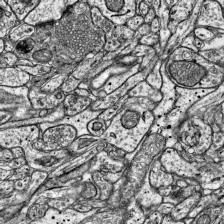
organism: Mouse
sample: Visual Cortex